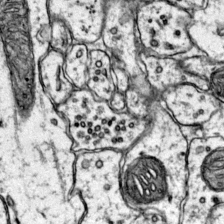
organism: Mouse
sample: Primary visual cortex